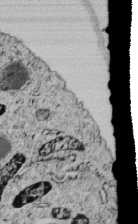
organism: C. elegans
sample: C. elegans embryo early stage